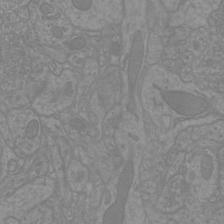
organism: Mouse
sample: Cortical neurons